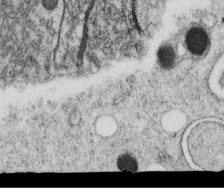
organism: C. elegans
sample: C. elegans oocyte; sperm cells